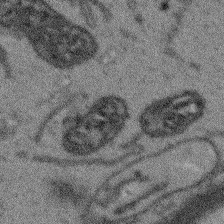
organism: Arabidopsis thaliana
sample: Root tip